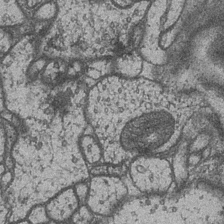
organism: Drosophila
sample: Optic medulla